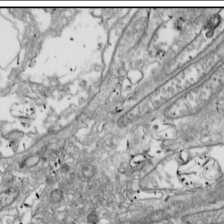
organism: Drosophila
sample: Cell division; meiosis; drosophila spermatocytes